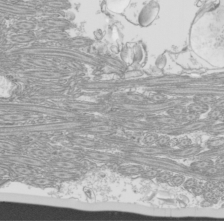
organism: Mouse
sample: Cilia; mouse epididymis